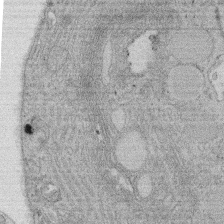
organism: Rat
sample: Salivary granule